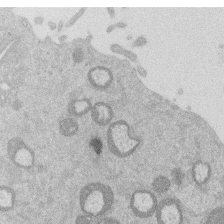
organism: Mouse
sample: Dividing mouse embryo 1 cell stage